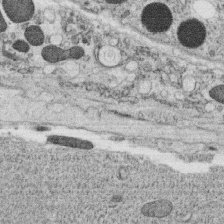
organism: C. elegans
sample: C. elegans oocyte; sperm cells